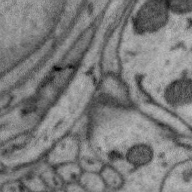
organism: Zebra finch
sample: Brain